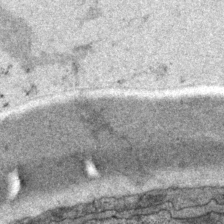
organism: P. pacificus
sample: Pharynx